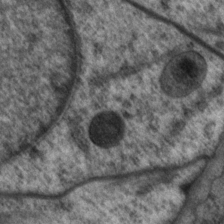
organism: P. pacificus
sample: Pharynx